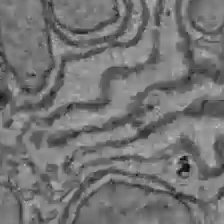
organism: C57BL Mouse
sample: Liver